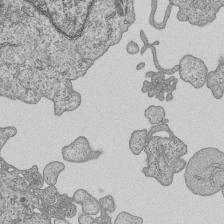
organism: Human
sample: MDA-MB-231 cells